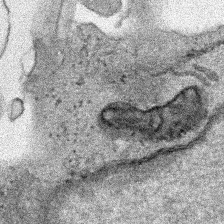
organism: Human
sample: Mitochondria in HCT116 cells